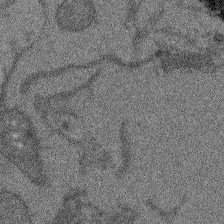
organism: Arabidopsis thaliana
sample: Root tip